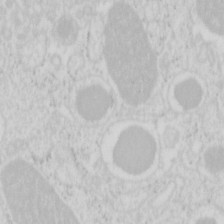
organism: Mouse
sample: Pancreas